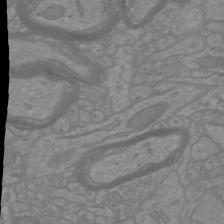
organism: Mouse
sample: Cortical neurons